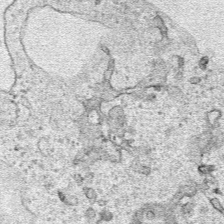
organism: Human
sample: Mitochondria in HCT116 cells